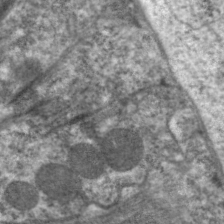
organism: C. elegans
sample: Pharynx